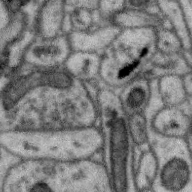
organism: Zebra finch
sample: Brain